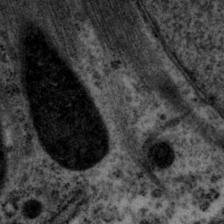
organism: P. pacificus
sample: Pharynx